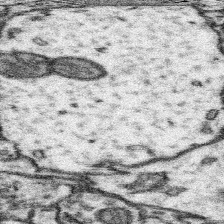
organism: Mouse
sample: Somatosensory cortex neuropil